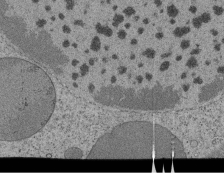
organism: Tetrahymena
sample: Cilia in tetrahymena